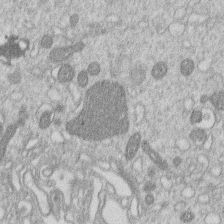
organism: Human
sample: Macrophage cells